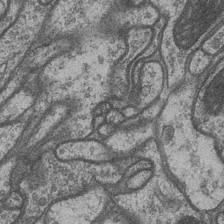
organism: Drosophila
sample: Optic medulla